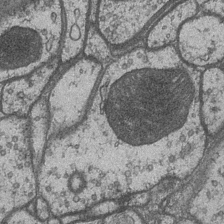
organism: Drosophila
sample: Optic medulla